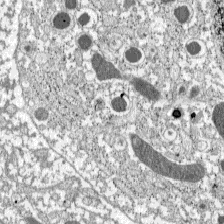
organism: C57BL Mouse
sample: Pancreatic islet